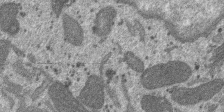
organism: Human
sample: Lung epithelial cells infected with SARS-CoV-2